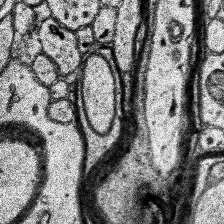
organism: Human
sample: Temporal Lobe